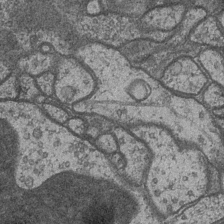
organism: Drosophila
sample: Optic medulla